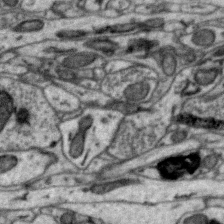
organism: Zebra finch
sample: Brain